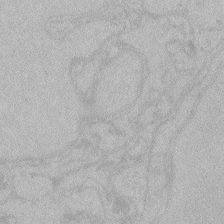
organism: Zebrafish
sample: Macrophage infected with Toxoplasma gondii